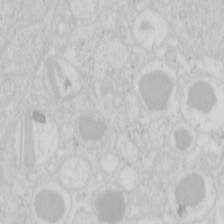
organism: Mouse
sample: Pancreas